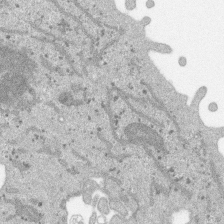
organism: Human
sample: Lung epithelial cells infected with SARS-CoV-2